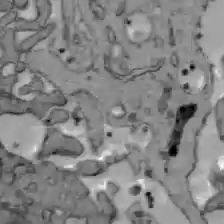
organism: C57BL Mouse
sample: Liver